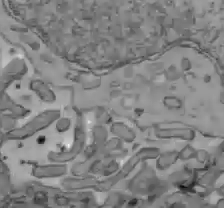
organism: C57BL Mouse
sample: Liver